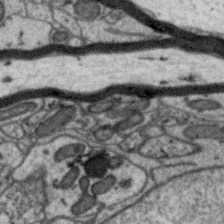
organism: Zebra finch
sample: Brain